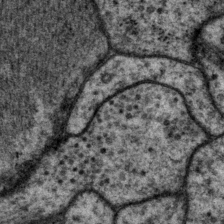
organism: P. pacificus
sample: Pharynx